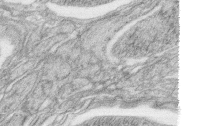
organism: Zebrafish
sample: synaptic ribbons in rod cells and cone cells